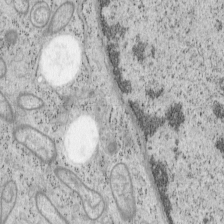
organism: Mouse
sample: OT-I killer T cells with ID8 ovarian cancer cells